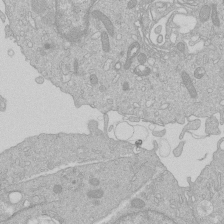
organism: Human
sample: Macrophage cells